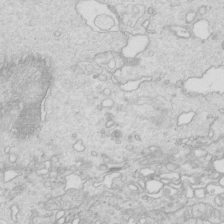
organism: Mouse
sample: Multiciliated cells